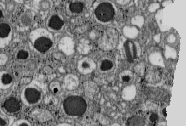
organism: C57BL Mouse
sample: Pancreatic islet